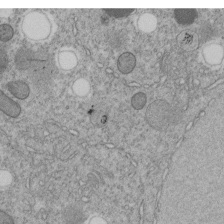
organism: C. elegans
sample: C. elegans embryo early stage